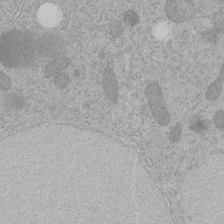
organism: C. elegans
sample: C. elegans embryo early stage